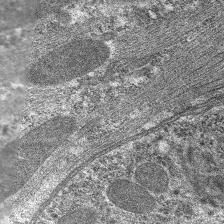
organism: C. elegans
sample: Pharynx